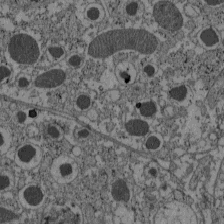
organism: C57BL Mouse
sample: Pancreatic islet